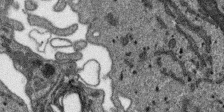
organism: Human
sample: Lung epithelial cells infected with SARS-CoV-2